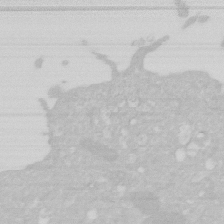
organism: Human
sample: HIV infected U937 cells